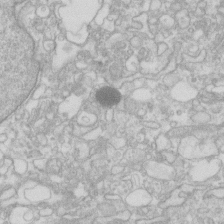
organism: Human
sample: Fibroblast cells